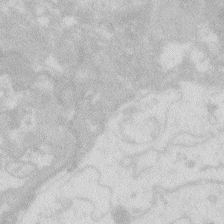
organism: Zebrafish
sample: Macrophage